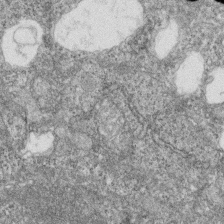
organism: Zebrafish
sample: Cilia; retinal pigment epithelium